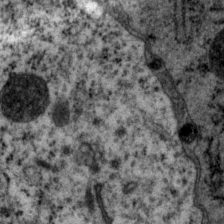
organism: P. pacificus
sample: Pharynx